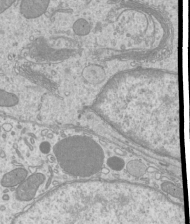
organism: Mouse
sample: Cilia; mouse epididymis